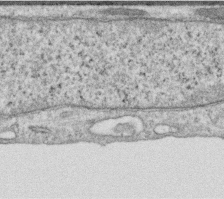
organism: Human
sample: Centriole in RPE cells